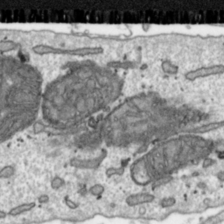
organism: Toxoplasma gondii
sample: Parasites in a vacuole inside a host cell